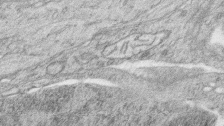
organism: Zebrafish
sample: synaptic ribbons in rod cells and cone cells